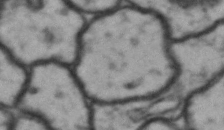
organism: Drosophila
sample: Brain